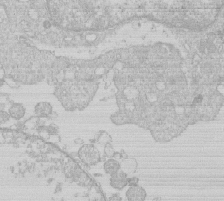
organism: Human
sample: Macrophage cells